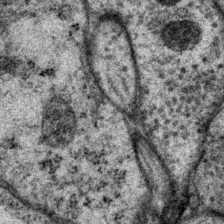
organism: P. pacificus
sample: Pharynx